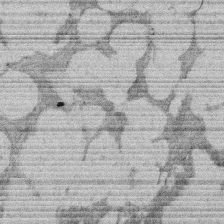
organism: Rat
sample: Salivary granule